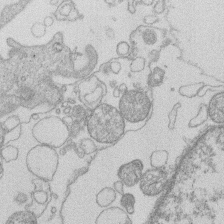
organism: Human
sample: Macrophage cells